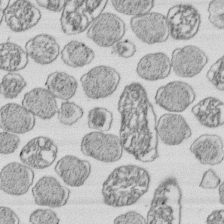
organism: E. coli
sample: Bacterial nucleoid